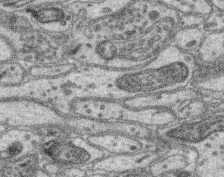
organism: Mouse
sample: Retina